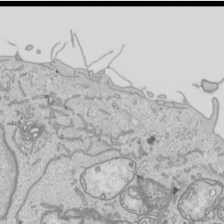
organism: Human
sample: Mitochondria in HCT116 cells